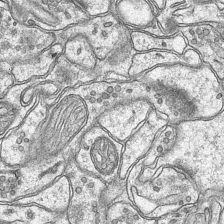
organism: Mouse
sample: CA1 Hippocampus